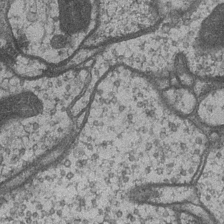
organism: Drosophila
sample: Optic medulla